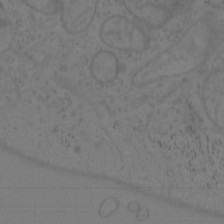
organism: Human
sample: HeLa cells